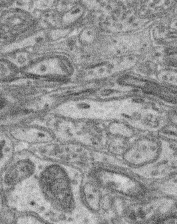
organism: Mouse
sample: Retina